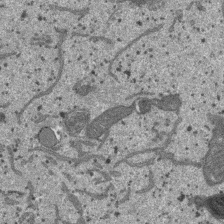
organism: Human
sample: Lung epithelial cells infected with SARS-CoV-2